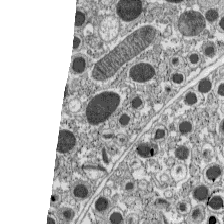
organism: C57BL Mouse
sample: Pancreatic islet